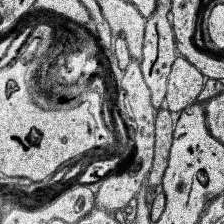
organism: Human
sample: Temporal Lobe